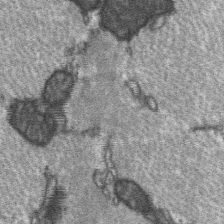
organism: C57BL Mouse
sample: Soleus